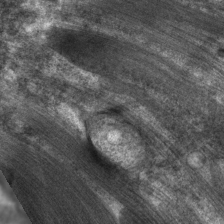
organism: C. elegans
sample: Pharynx